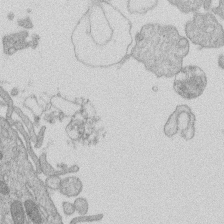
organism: Human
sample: Macrophage cells